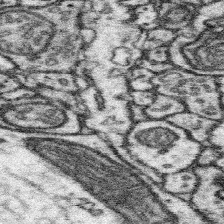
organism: Mouse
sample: Somatosensory cortex neuropil